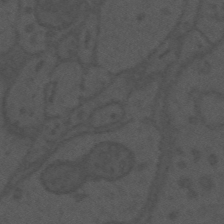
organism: Mouse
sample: Suprachiasmatic nucleus